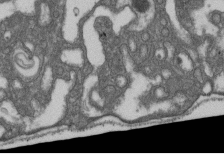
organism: Drosophila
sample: Nephrocyte